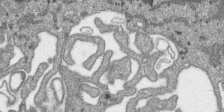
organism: Human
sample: Lung epithelial cells infected with SARS-CoV-2